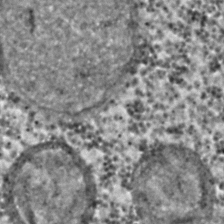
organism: C. elegans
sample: C. elegans embryo